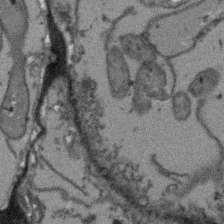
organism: Arabidopsis thaliana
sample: Root tip